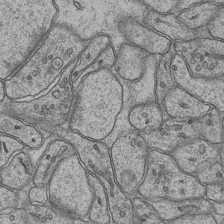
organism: Mouse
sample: CA1 Hippocampus